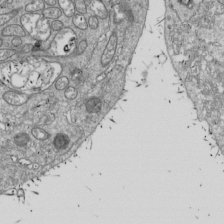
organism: Drosophila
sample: Cell division; meiosis; drosophila spermatocytes